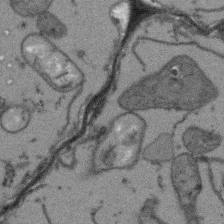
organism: Arabidopsis thaliana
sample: Root tip